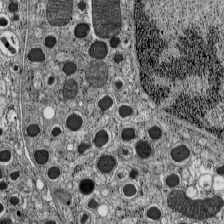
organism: C57BL Mouse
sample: Pancreatic islet